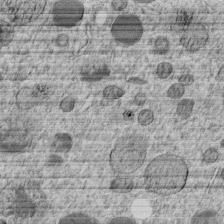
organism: C. elegans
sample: C. elegans embryo early stage